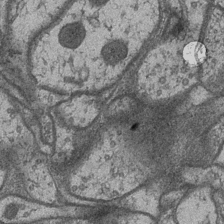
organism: Drosophila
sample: Optic medulla